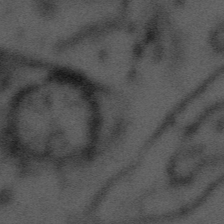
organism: Tuwongella immobilis